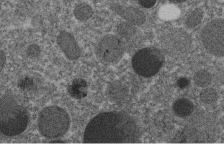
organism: C. elegans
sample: C. elegans embryo early stage